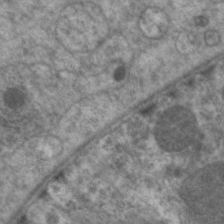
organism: C. elegans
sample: Pharynx